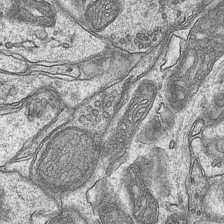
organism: Mouse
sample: CA1 Hippocampus